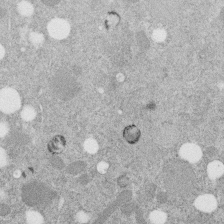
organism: C. elegans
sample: C. elegans embryo early stage